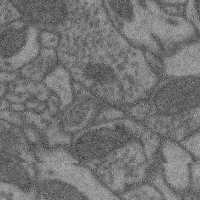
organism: Mouse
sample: Cerebral cortex